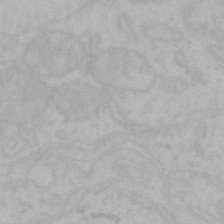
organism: Mouse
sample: Choroid plexus